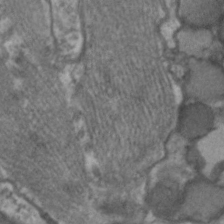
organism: C. elegans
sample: Pharynx